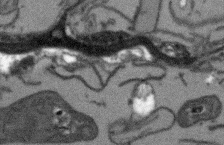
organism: Arabidopsis thaliana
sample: Root tip